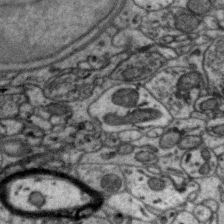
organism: Zebra finch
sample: Brain